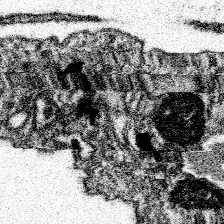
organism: Spongilla lacustris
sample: Neuroid cell